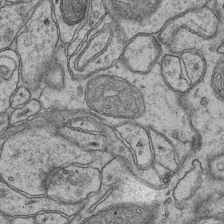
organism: Mouse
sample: CA1 Hippocampus